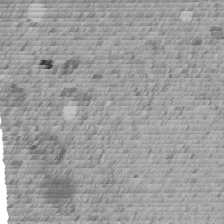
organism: C. elegans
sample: C. elegans embryo early stage